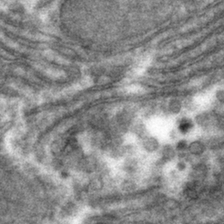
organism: Mouse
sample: Mouse hepatocytes